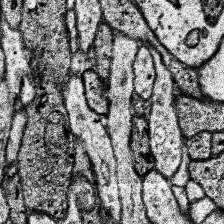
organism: Human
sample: Temporal Lobe